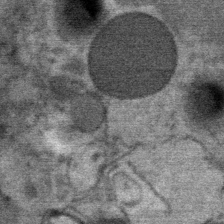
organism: Mouse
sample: Mouse Salivary gland